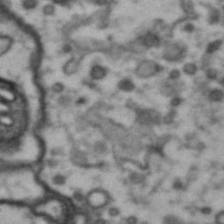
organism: Drosophila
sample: Brain